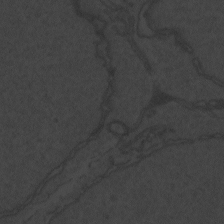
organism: Zebrafish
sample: Macrophage infected with Toxoplasma gondii